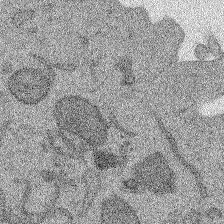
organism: Human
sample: HeLa cells